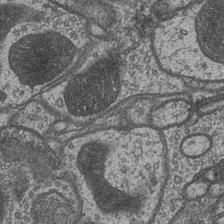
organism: Drosophila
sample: Optic medulla